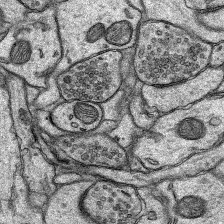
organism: Rat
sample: Hippocampus